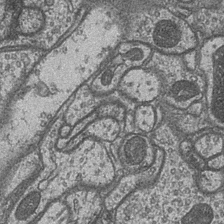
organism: Drosophila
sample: Optic medulla